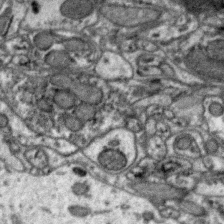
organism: Zebra finch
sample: Brain